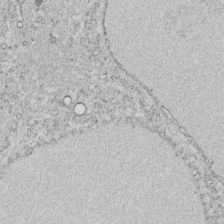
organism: C. elegans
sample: C. elegans embryo early stage